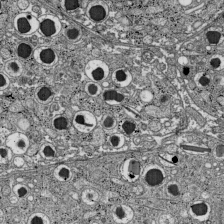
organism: C57BL Mouse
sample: Pancreatic islet